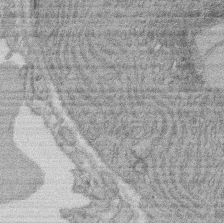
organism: Rat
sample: Salivary granule